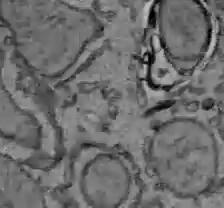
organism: C57BL Mouse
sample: Liver